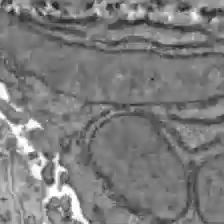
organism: C57BL Mouse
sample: Liver